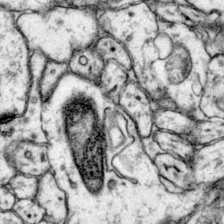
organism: Mouse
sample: Primary visual cortex